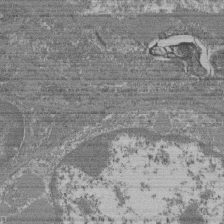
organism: Mouse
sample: Glomerulus